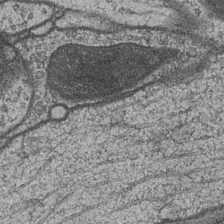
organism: Drosophila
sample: Optic medulla